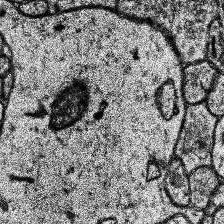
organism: Human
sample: Temporal Lobe